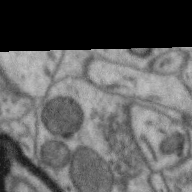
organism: Zebra finch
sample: Brain